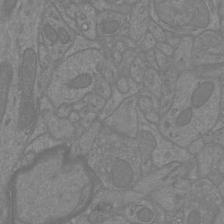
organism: Mouse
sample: Cortical neurons